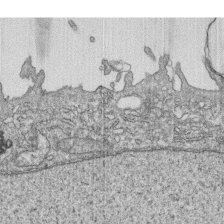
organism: Human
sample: HeLa cell HIV synapse